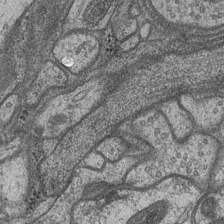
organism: Drosophila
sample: Optic medulla